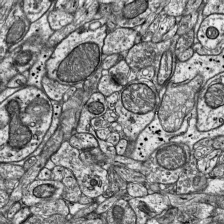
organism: Mouse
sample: Visual Cortex